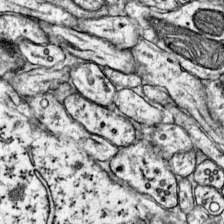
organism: Mouse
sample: Primary visual cortex